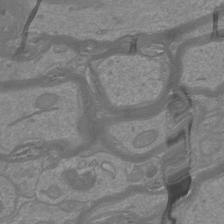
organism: Mouse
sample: Cortical neurons